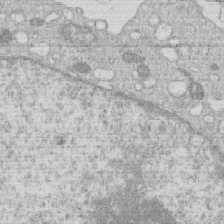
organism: Human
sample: Macrophage cells